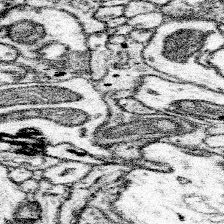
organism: Mouse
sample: Somatosensory cortex neuropil